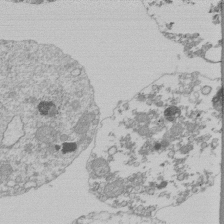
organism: Mouse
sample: Activated Pmel transgenic CD8+ T Cells